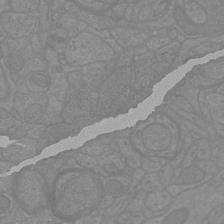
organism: Mouse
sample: Cortical neurons